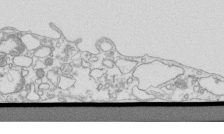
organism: Mouse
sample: Macrophages